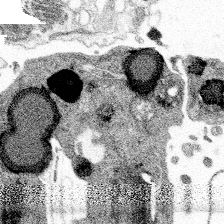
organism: Spongilla lacustris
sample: Multiple